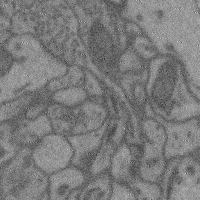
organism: Mouse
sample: Cerebral cortex